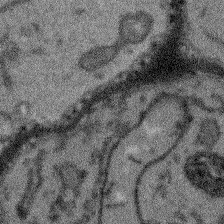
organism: Arabidopsis thaliana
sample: Root tip